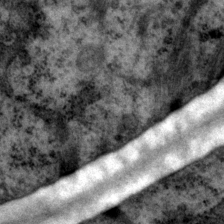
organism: P. pacificus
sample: Pharynx